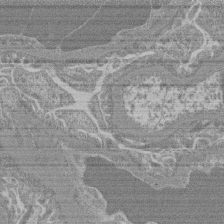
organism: Mouse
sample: Glomerulus